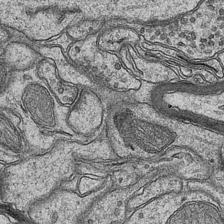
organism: Mouse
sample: CA1 Hippocampus